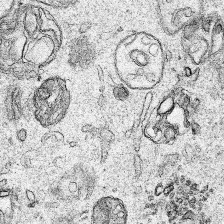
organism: Human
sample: Mitochondria in HCT116 cells